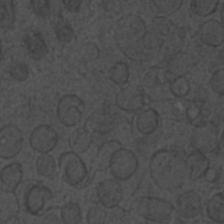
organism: C. elegans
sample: C. elegans embryo